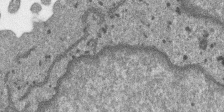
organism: Human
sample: Lung epithelial cells infected with SARS-CoV-2